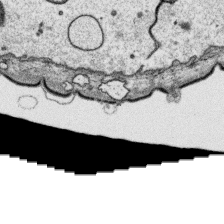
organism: Platynereis dumerilii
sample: Parapodia